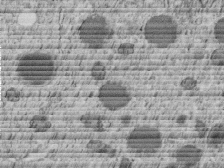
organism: C. elegans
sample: C. elegans embryo early stage